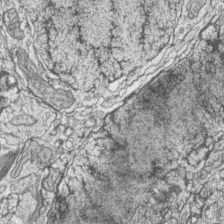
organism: Zebrafish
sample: synaptic ribbons in rod cells and cone cells